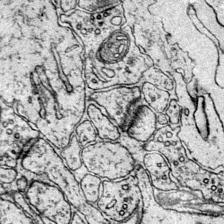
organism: Mouse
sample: Primary visual cortex